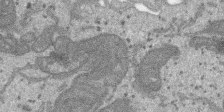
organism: Human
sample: Lung epithelial cells infected with SARS-CoV-2